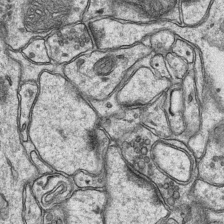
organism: Mouse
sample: CA1 Hippocampus